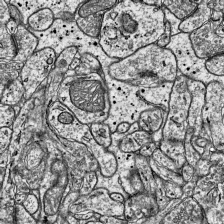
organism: Mouse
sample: Visual Cortex